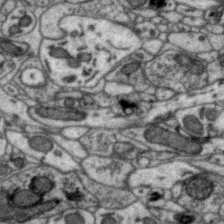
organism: Zebra finch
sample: Brain